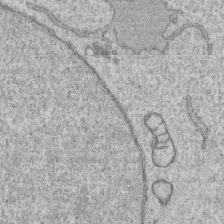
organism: Human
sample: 1205lu cells